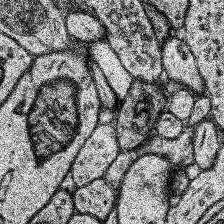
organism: Human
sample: Temporal Lobe